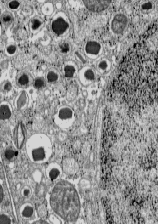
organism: C57BL Mouse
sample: Pancreatic islet